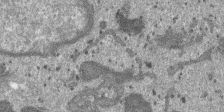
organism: Human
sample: Lung epithelial cells infected with SARS-CoV-2